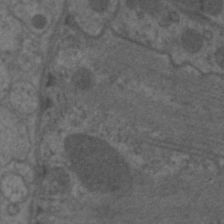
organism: C. elegans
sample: Pharynx